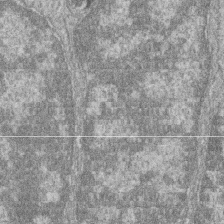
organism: Zebrafish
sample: Cilia; retinal pigment epithelium